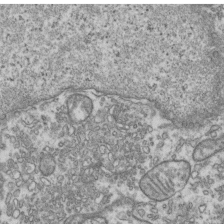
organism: Human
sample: Activated Jurkat CD4+ T cells